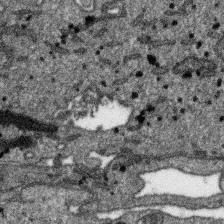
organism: Human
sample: Lung epithelial cells infected with SARS-CoV-2